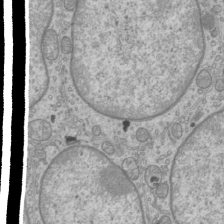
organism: Mouse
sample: Cilia; mouse epididymis